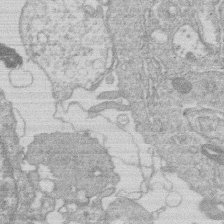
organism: Human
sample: Macrophage cells